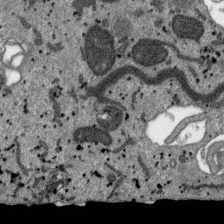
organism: Human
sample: Lung epithelial cells, uninfected (mock) control